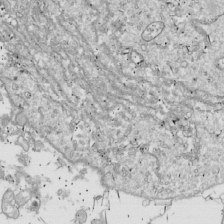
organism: Drosophila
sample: Cell division; meiosis; drosophila spermatocytes